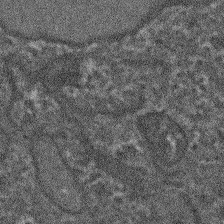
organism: Arabidopsis thaliana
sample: Root tip